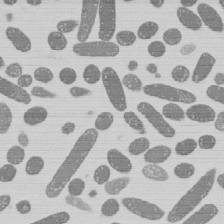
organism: E. coli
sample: Bacterial nucleoid